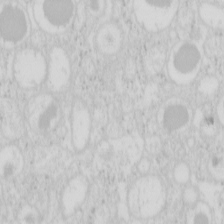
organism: Mouse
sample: Pancreas